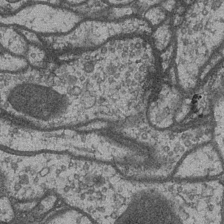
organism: Drosophila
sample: Optic medulla